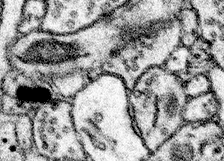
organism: Mouse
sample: Somatosensory cortex neuropil